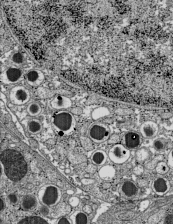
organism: C57BL Mouse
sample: Pancreatic islet